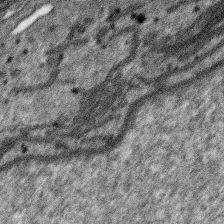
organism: Human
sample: Lung epithelial cells infected with SARS-CoV-2